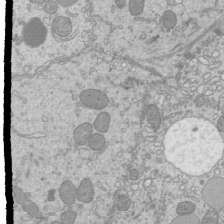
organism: Mouse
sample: Cilia; mouse epididymis